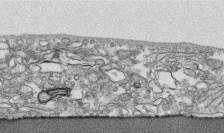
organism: Human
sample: CRL-1474